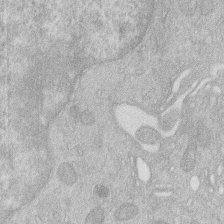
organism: Human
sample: Macrophage cells